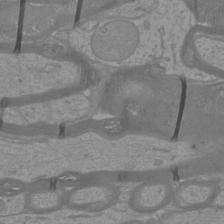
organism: Mouse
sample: Cortical neurons